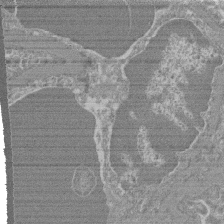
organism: Mouse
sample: Glomerulus